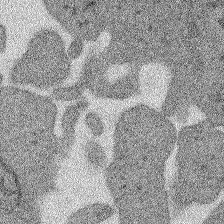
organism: Human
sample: HeLa cells